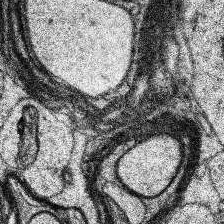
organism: Human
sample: Temporal Lobe